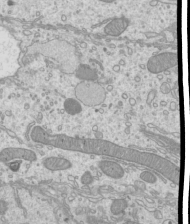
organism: Mouse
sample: Cilia; mouse epididymis